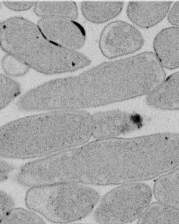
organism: E. coli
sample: Bacterial nucleoid